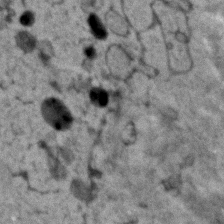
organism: Human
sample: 1205lu cells